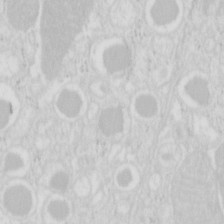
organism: Mouse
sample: Pancreas